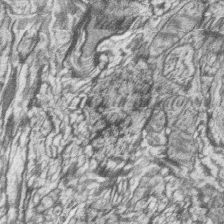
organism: Zebrafish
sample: synaptic ribbons in rod cells and cone cells